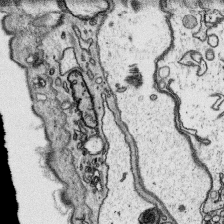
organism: Platynereis dumerilii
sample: Parapodia